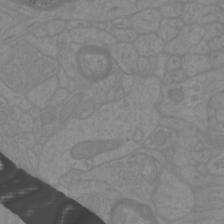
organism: Mouse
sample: Cortical neurons